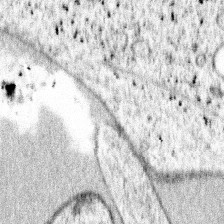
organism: Human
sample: HeLa cells